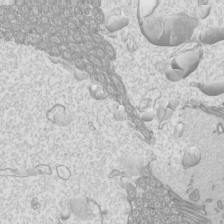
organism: Mouse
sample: Cilia; mouse epididymis